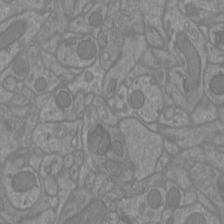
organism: Mouse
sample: Cortical neurons